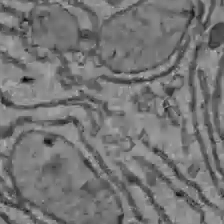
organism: C57BL Mouse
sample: Liver